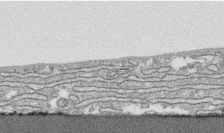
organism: Human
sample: CRL-1474